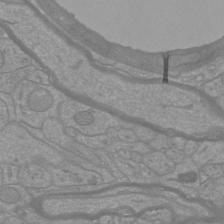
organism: Mouse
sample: Cortical neurons